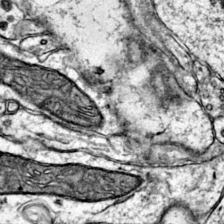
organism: Mouse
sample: Primary visual cortex